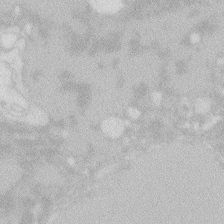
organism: Zebrafish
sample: Macrophage